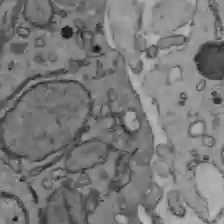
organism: C57BL Mouse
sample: Liver